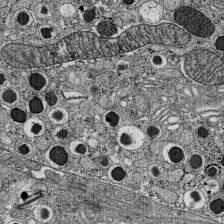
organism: C57BL Mouse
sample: Pancreatic islet